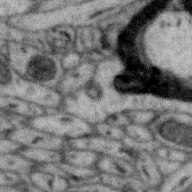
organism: Zebra finch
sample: Brain